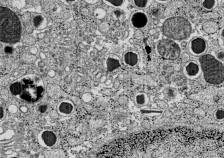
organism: C57BL Mouse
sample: Pancreatic islet